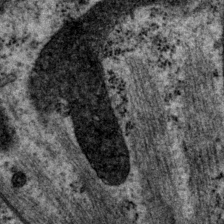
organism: P. pacificus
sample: Pharynx